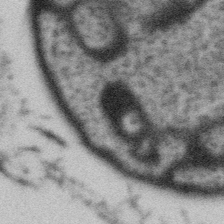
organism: Gemmata obscuriglobus